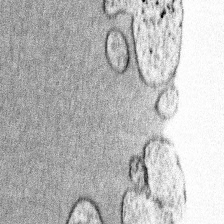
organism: Human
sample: HeLa cells